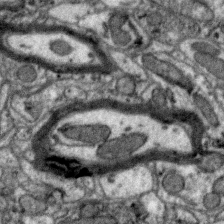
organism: Zebra finch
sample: Brain